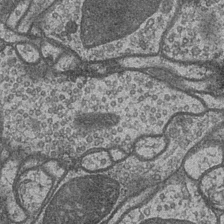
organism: Drosophila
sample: Optic medulla